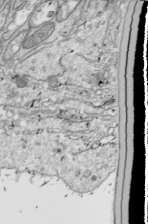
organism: Drosophila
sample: Cell division; meiosis; drosophila spermatocytes